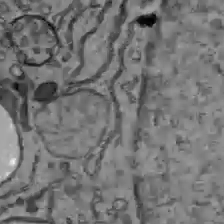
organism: C57BL Mouse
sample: Liver